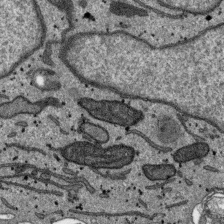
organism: Human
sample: Lung epithelial cells, uninfected (mock) control